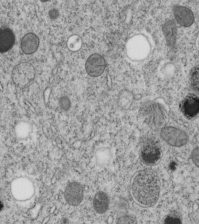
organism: C. elegans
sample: C. elegans embryo early stage